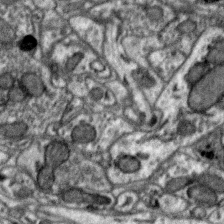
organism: Zebra finch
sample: Brain